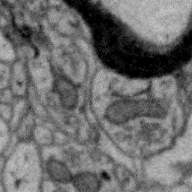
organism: Zebra finch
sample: Brain